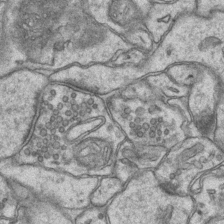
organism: Mouse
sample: CA1 Hippocampus